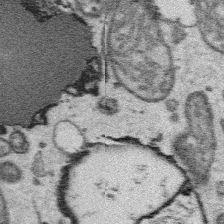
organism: Platynereis dumerilii